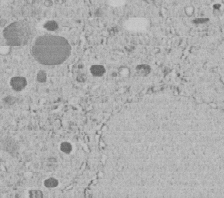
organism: C. elegans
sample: C. elegans embryo early stage